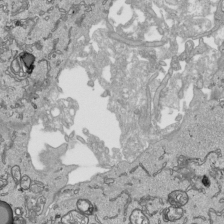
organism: Human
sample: Mitochondria in HCT116 cells